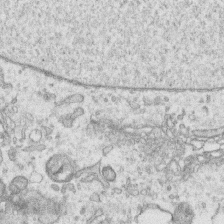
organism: Human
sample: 1205lu cells